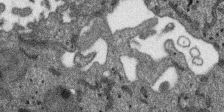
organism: Human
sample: Lung epithelial cells infected with SARS-CoV-2